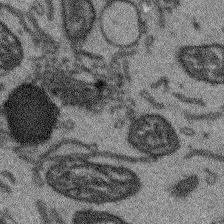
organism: Arabidopsis thaliana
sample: Root tip